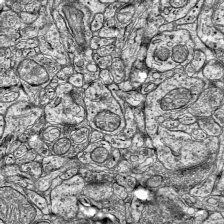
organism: Mouse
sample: Visual Cortex